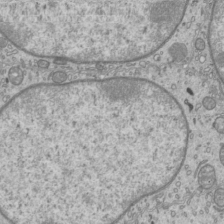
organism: Mouse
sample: Cilia; mouse epididymis